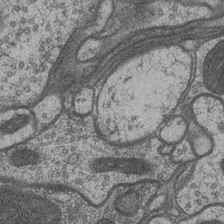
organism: Drosophila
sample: Optic medulla